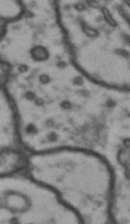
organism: Drosophila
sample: Brain